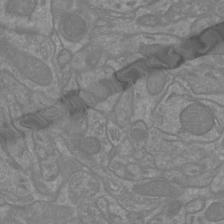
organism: Mouse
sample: Cortical neurons